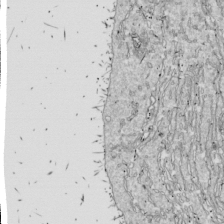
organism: Drosophila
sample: Cell division; meiosis; drosophila spermatocytes